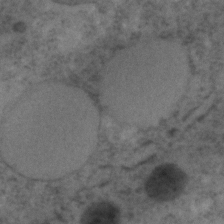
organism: C. elegans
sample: C. elegans embryo